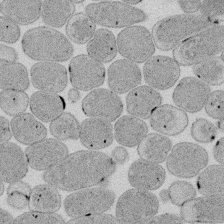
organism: E. coli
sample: Bacterial nucleoid